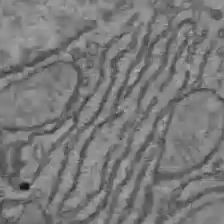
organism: C57BL Mouse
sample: Liver